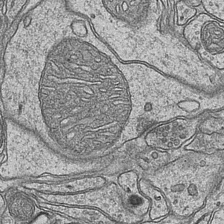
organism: Mouse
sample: CA1 Hippocampus